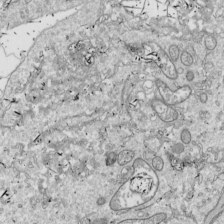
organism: Drosophila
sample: Cell division; meiosis; drosophila spermatocytes